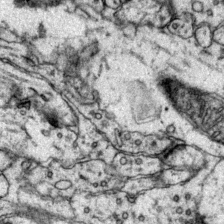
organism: Mouse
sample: Primary visual cortex